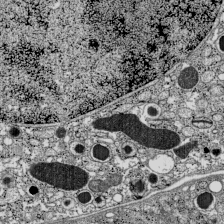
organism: C57BL Mouse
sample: Pancreatic islet